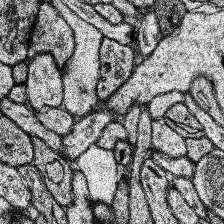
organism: Human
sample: Temporal Lobe